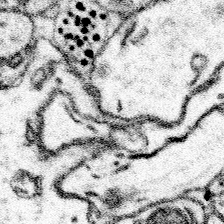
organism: Mouse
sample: Somatosensory cortex neuropil